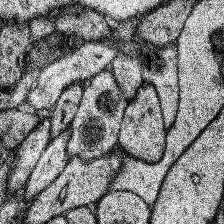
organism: Human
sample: Temporal Lobe